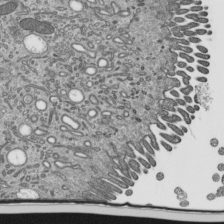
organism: Mouse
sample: Mouse epididymis efferent ductule cilia